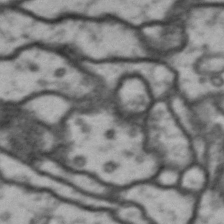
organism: Drosophila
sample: Brain